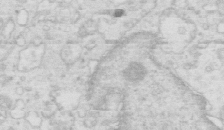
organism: Mouse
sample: Multiciliated cells